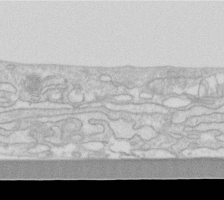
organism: Human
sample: Fibroblast cells